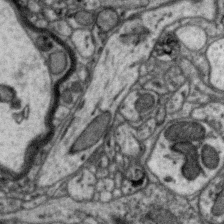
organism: Zebra finch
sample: Brain